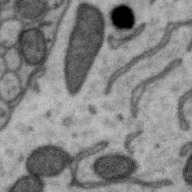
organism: Zebra finch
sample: Brain